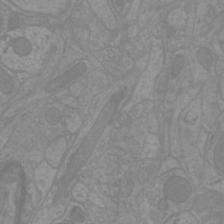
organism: Mouse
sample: Cortical neurons